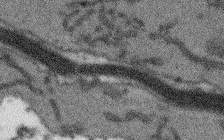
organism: Arabidopsis thaliana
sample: Root tip